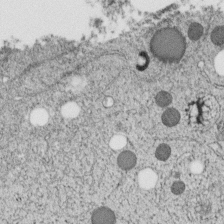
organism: C. elegans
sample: C. elegans embryo early stage